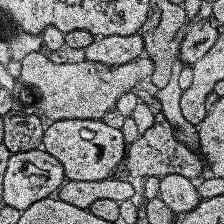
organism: Human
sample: Temporal Lobe